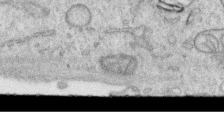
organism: Human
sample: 1205lu cells